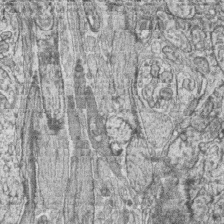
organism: Zebrafish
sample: synaptic ribbons in rod cells and cone cells